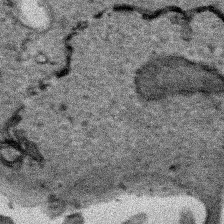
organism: Human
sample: Mitochondria in HCT116 cells